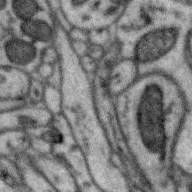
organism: Zebra finch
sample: Brain